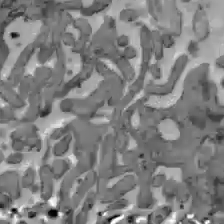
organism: C57BL Mouse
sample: Liver